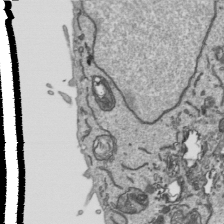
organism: Human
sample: Mitochondria in HCT116 cells